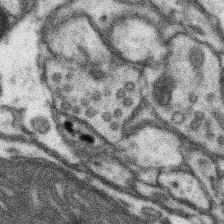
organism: Mouse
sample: Somatosensory cortex neuropil